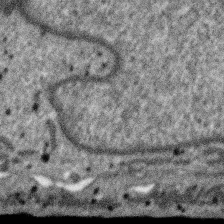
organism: Human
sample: Lung epithelial cells infected with SARS-CoV-2